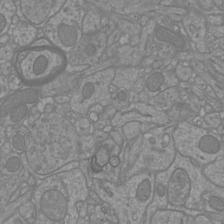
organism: Mouse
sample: Cortical neurons